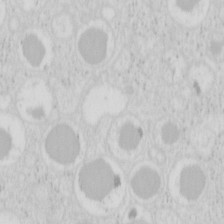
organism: Mouse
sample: Pancreas